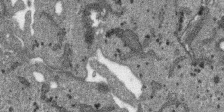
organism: Human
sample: Lung epithelial cells infected with SARS-CoV-2